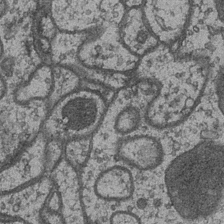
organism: Drosophila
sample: Optic medulla